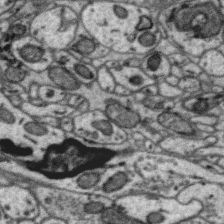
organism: Zebra finch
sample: Brain